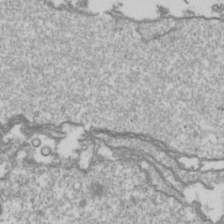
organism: Drosophila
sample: Cell division; meiosis; drosophila spermatocytes